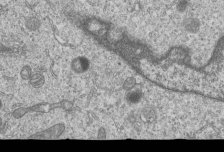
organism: Human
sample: MDA-MB-231 cells